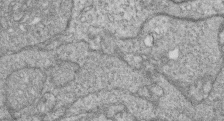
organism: Zebrafish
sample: Cilia; retinal pigment epithelium